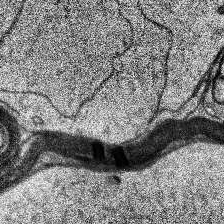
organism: Human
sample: Temporal Lobe